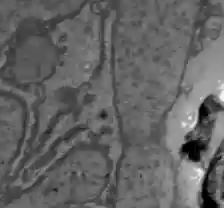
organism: C57BL Mouse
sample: Liver